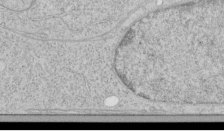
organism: Human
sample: Mitochondria in HCT116 cells